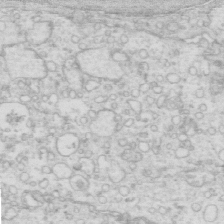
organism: Mouse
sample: Multiciliated cells